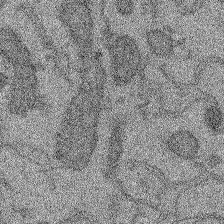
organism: Human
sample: HeLa cells